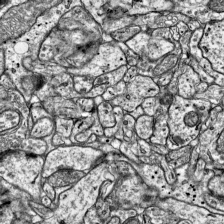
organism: Mouse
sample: Visual Cortex